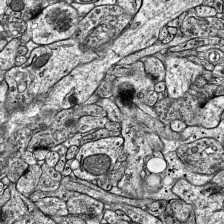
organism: Mouse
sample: Visual Cortex